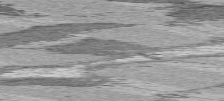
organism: C57BL Mouse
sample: Heart